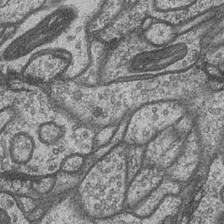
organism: Drosophila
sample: Optic medulla